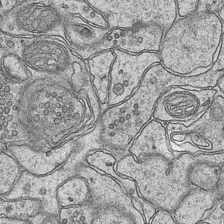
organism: Mouse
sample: CA1 Hippocampus